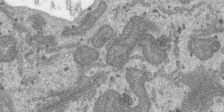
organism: Human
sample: Lung epithelial cells infected with SARS-CoV-2